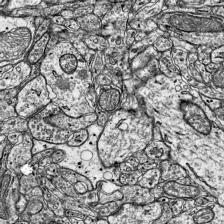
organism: Mouse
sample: Visual Cortex